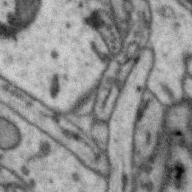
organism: Zebra finch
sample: Brain